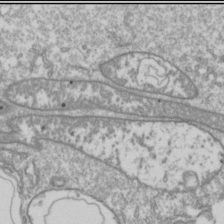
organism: Drosophila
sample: Cell division; meiosis; drosophila spermatocytes